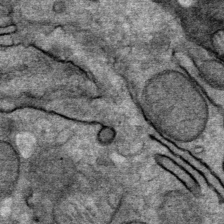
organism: Mouse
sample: Mouse Salivary gland